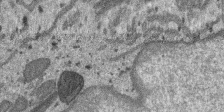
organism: Human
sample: Lung epithelial cells infected with SARS-CoV-2